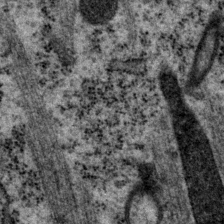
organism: P. pacificus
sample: Pharynx